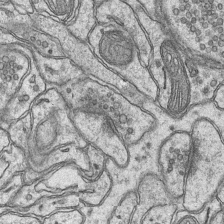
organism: Mouse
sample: CA1 Hippocampus